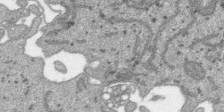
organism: Human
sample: Lung epithelial cells infected with SARS-CoV-2